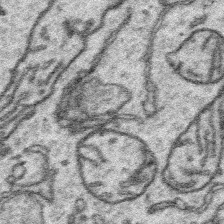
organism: Platynereis dumerilii